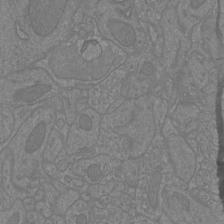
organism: Mouse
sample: Cortical neurons